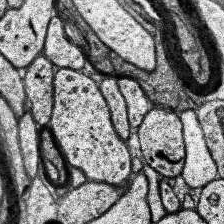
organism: Human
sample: Temporal Lobe